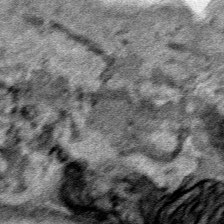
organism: Human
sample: Mitochondria in HCT116 cells